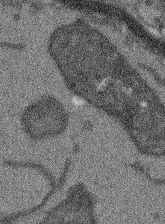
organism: Arabidopsis thaliana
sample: Root tip